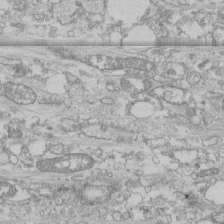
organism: Human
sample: CRL-1474